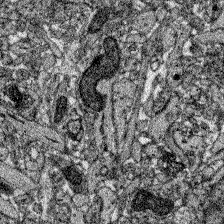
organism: Zebrafish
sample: Larval olfactory bulb